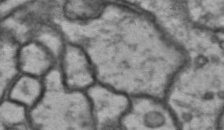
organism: Drosophila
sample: Brain